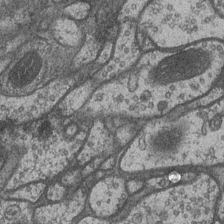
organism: Drosophila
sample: Optic medulla